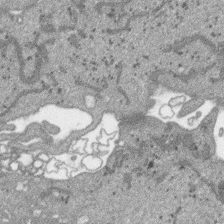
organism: Human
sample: Lung epithelial cells infected with SARS-CoV-2